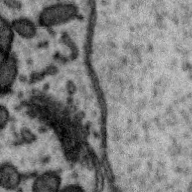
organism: Zebra finch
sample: Brain